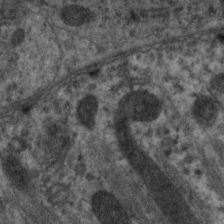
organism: C. elegans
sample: Pharynx